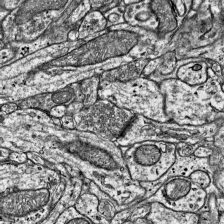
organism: Mouse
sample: Visual Cortex